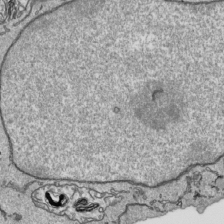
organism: Human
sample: Mitochondria in HCT116 cells